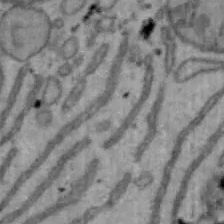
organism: Mouse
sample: Liver